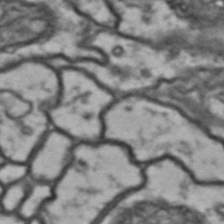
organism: Drosophila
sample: Brain